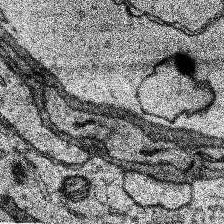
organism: Human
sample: Temporal Lobe